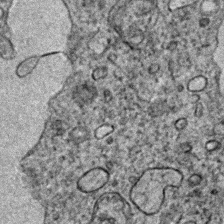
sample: Trachea